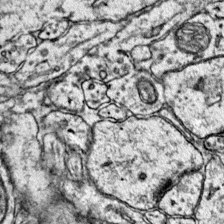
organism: Mouse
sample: Primary visual cortex